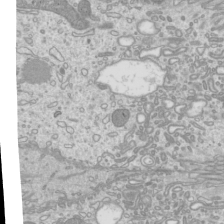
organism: Mouse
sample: Cilia; mouse epididymis